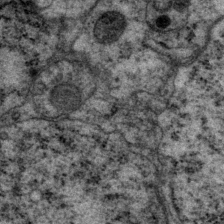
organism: P. pacificus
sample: Pharynx